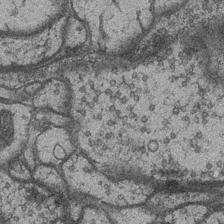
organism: Drosophila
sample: Optic medulla